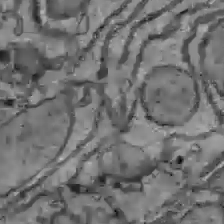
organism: C57BL Mouse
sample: Liver